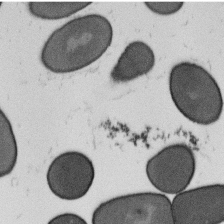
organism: B. subtilis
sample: Bacterial spore